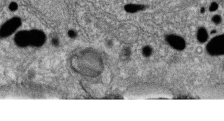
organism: Zebrafish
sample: Cilia; retinal pigment epithelium